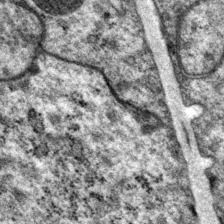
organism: P. pacificus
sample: Pharynx